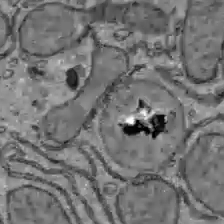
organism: C57BL Mouse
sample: Liver